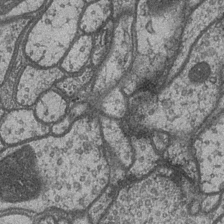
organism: Drosophila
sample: Optic medulla